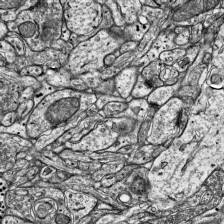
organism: Mouse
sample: Visual Cortex